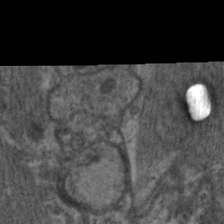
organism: C. elegans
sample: Pharynx